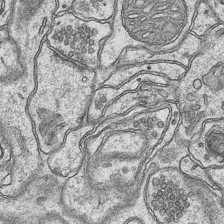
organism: Mouse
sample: CA1 Hippocampus